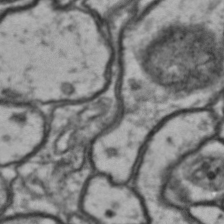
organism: Drosophila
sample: Brain